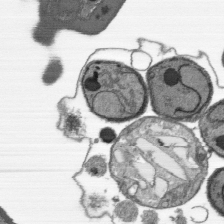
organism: Plasmodium falciparum